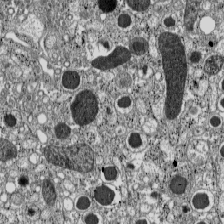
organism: C57BL Mouse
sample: Pancreatic islet